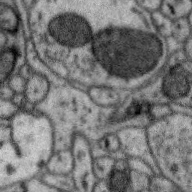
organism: Zebra finch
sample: Brain